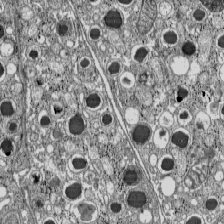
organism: C57BL Mouse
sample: Pancreatic islet